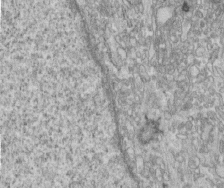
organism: Human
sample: Centriole in fibroblast cells